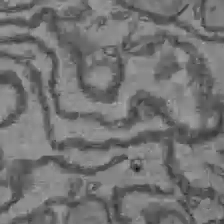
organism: C57BL Mouse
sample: Liver